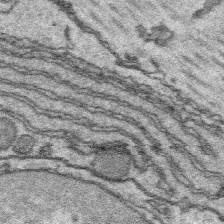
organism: Platynereis dumerilii